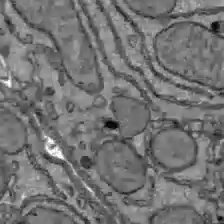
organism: C57BL Mouse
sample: Liver